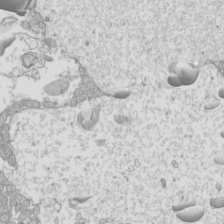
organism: Mouse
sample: Cilia; mouse epididymis